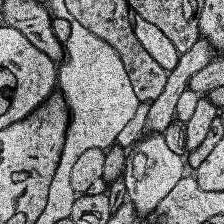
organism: Human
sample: Temporal Lobe